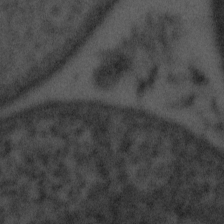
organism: Tuwongella immobilis